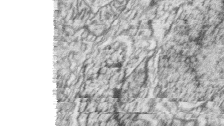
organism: Zebrafish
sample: synaptic ribbons in rod cells and cone cells